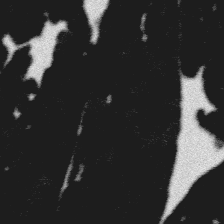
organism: Platynereis dumerilii